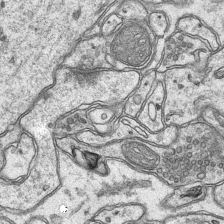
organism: Mouse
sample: CA1 Hippocampus